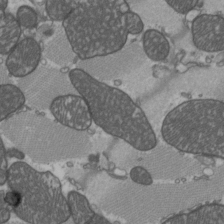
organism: C57BL Mouse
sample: Heart